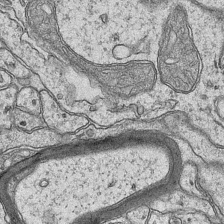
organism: Mouse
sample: CA1 Hippocampus